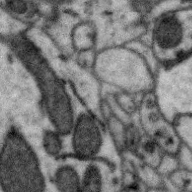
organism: Zebra finch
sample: Brain